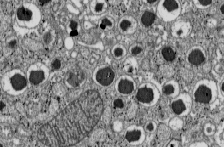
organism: C57BL Mouse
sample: Pancreatic islet